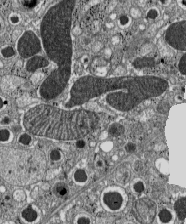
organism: C57BL Mouse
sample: Pancreatic islet